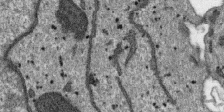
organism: Human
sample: Lung epithelial cells, uninfected (mock) control